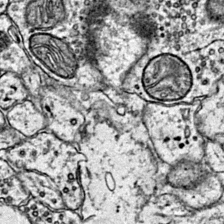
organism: Mouse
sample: Primary visual cortex